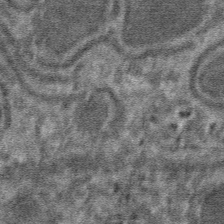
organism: Mouse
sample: Mouse hepatocytes